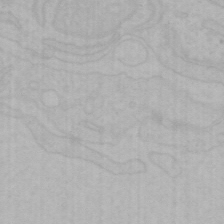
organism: Mouse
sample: Choroid plexus